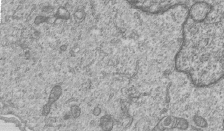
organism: Human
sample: MDA-MB-231 cells